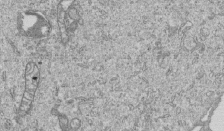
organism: Human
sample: MDA-MB-231 cells